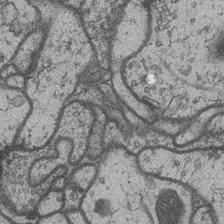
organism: Drosophila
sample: Optic medulla